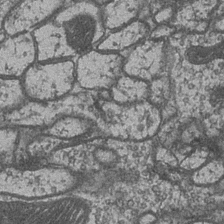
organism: Drosophila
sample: Optic medulla